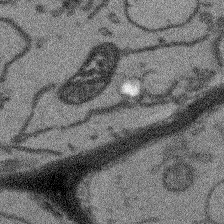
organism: Arabidopsis thaliana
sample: Root tip